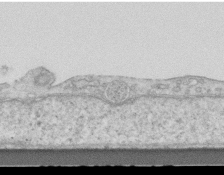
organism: Mouse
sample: Centriole in ependymal cells